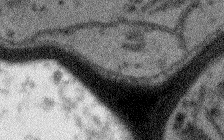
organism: Arabidopsis thaliana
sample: Root tip